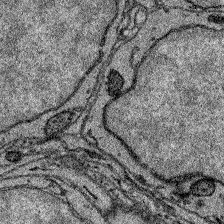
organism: Zebrafish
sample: Larval olfactory bulb